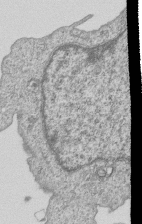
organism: Human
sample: MDA-MB-231 cells